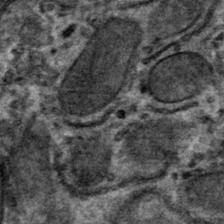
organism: Mouse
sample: Mouse hepatocytes